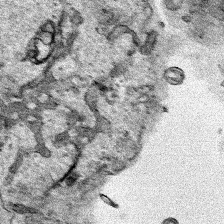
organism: Human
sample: Mitochondria in HCT116 cells